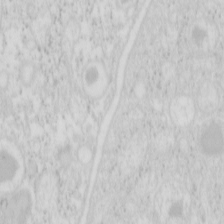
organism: Mouse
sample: Pancreas